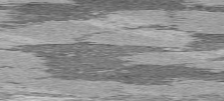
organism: C57BL Mouse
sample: Heart